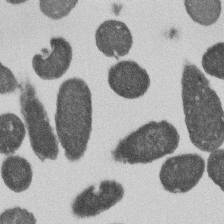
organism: E. coli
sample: Bacterial nucleoid